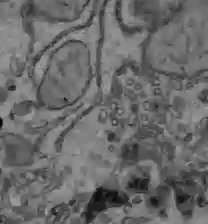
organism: C57BL Mouse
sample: Liver